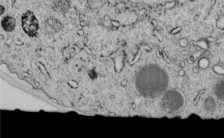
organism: C. elegans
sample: C. elegans embryo early stage